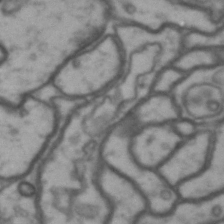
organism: Drosophila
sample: Brain